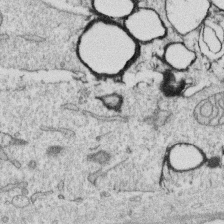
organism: Human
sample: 1205lu cells